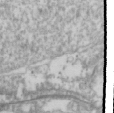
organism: Drosophila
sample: Cell division; meiosis; drosophila spermatocytes